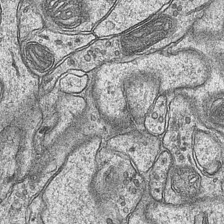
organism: Mouse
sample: CA1 Hippocampus